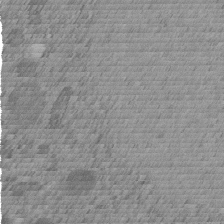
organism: C. elegans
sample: C. elegans embryo early stage